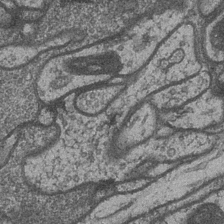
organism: Drosophila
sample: Optic medulla